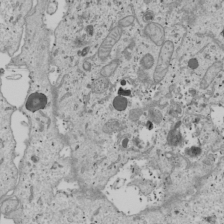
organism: Human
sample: Mitochondria in U2OS cells